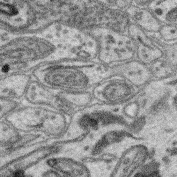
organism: Mouse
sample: Retina